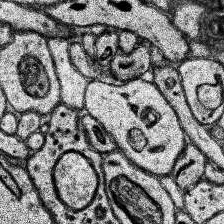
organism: Human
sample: Temporal Lobe